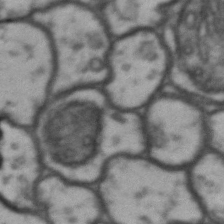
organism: Drosophila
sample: Brain